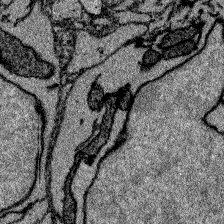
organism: Zebrafish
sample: Larval olfactory bulb